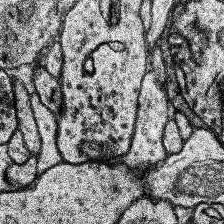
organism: Human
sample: Temporal Lobe